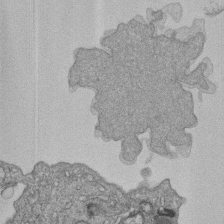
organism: Human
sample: MDA-MB-231 cells